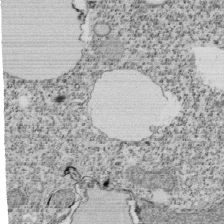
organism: Tetrahymena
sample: Cilia in tetrahymena